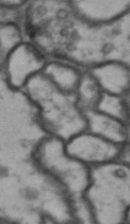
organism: Drosophila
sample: Brain